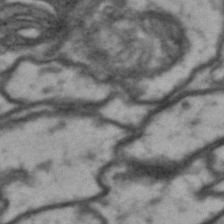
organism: Drosophila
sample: Brain